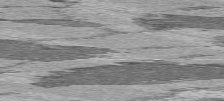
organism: C57BL Mouse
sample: Heart